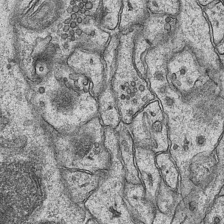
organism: Mouse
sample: CA1 Hippocampus